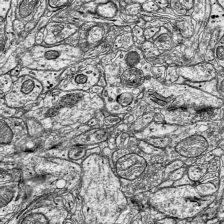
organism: Mouse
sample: Visual Cortex